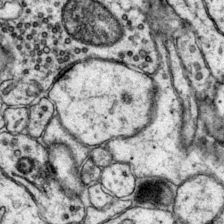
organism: Mouse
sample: Primary visual cortex